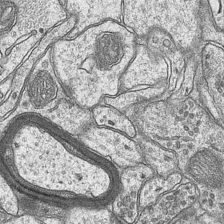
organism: Mouse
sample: CA1 Hippocampus